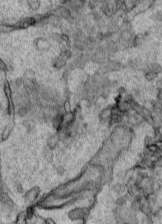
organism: Human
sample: Mitochondria in HCT116 cells